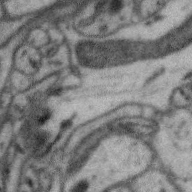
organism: Zebra finch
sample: Brain